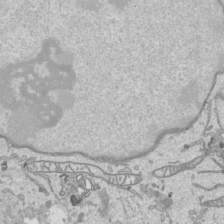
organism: Human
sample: Mitochondria in HCT116 cells